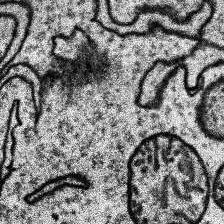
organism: Human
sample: Temporal Lobe